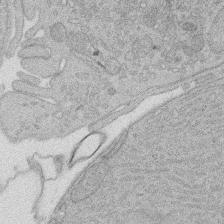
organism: Rat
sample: Salivary granule